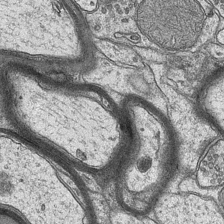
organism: Mouse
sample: CA1 Hippocampus